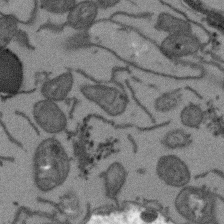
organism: Arabidopsis thaliana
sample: Root tip